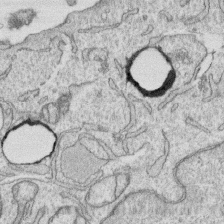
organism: Human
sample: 1205lu cells